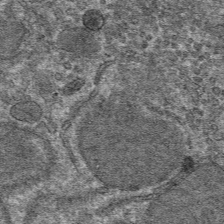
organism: Mouse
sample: Mouse hepatocytes